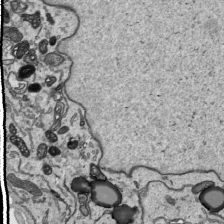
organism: Human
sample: Mitochondria in HCT116 cells